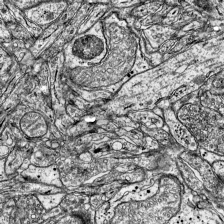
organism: Mouse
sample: Visual Cortex